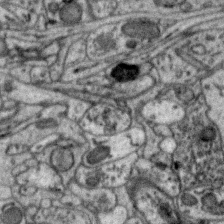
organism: Zebra finch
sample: Brain